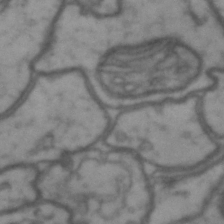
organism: Drosophila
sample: Brain